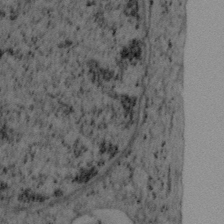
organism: Human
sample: HeLa cells